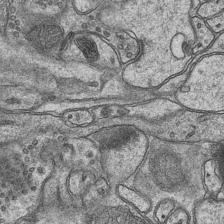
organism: Mouse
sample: CA1 Hippocampus